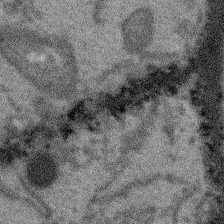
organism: Arabidopsis thaliana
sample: Root tip